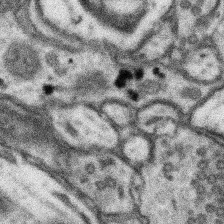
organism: Mouse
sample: Somatosensory cortex neuropil